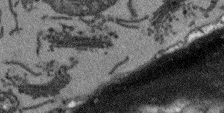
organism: Arabidopsis thaliana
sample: Root tip